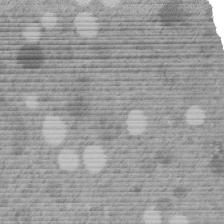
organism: C. elegans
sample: C. elegans embryo early stage